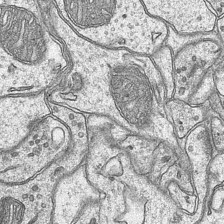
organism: Mouse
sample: CA1 Hippocampus